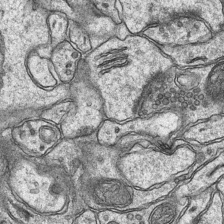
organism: Mouse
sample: CA1 Hippocampus